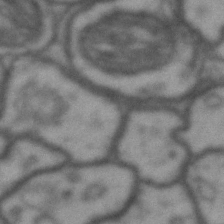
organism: Drosophila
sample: Brain